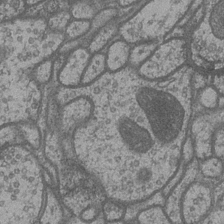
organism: Drosophila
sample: Optic medulla